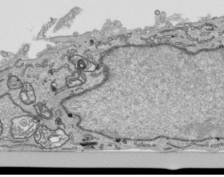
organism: Human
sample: Mitochondria in HCT116 cells